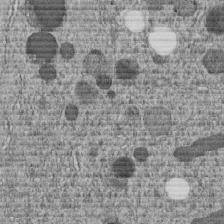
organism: C. elegans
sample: C. elegans embryo early stage